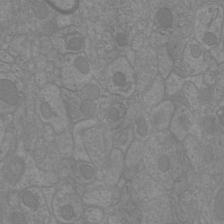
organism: Mouse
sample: Cortical neurons